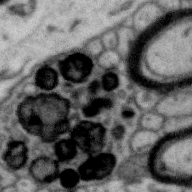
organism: Zebra finch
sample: Brain